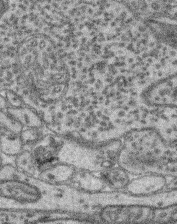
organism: Mouse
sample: Retina